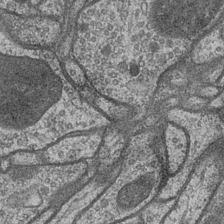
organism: Drosophila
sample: Optic medulla